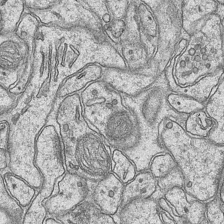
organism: Mouse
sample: CA1 Hippocampus